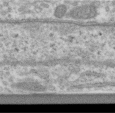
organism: Human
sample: Centriole in RPE cells